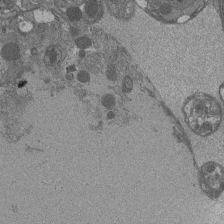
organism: Drosophila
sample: Antenna